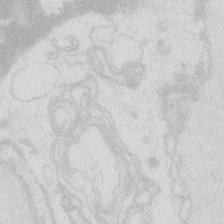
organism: Zebrafish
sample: Macrophage